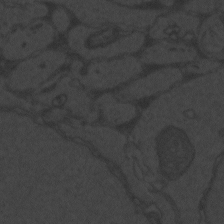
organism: Zebrafish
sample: Macrophage infected with Toxoplasma gondii